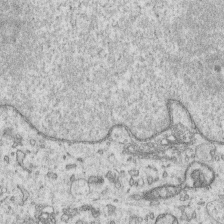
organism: Human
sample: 1205lu cells